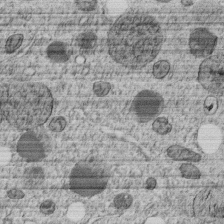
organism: C. elegans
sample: C. elegans embryo early stage